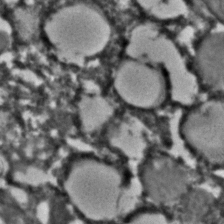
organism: C. elegans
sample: C. elegans embryo